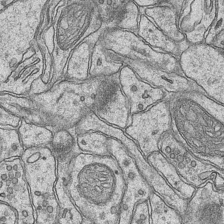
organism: Mouse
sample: CA1 Hippocampus